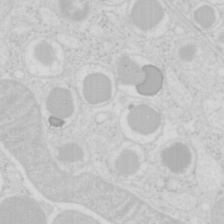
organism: Mouse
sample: Pancreas